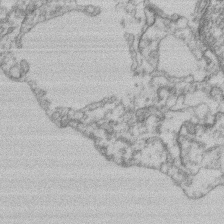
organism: Mouse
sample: T cell stromal cell synapse